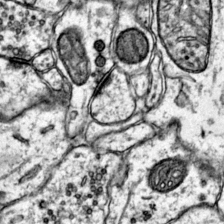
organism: Mouse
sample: Primary visual cortex